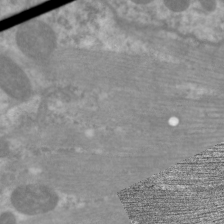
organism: C. elegans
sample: Pharynx